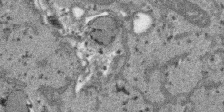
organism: Human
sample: Lung epithelial cells infected with SARS-CoV-2